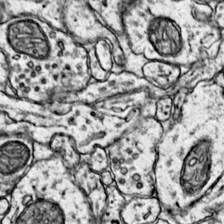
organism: Mouse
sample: Primary visual cortex